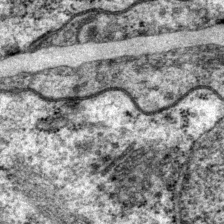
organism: P. pacificus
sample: Pharynx